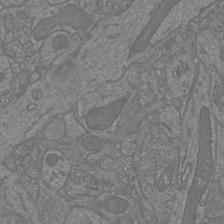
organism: Mouse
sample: Cortical neurons